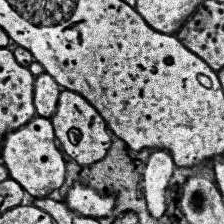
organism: Human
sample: Temporal Lobe